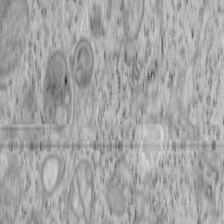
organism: Human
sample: HeLa cells